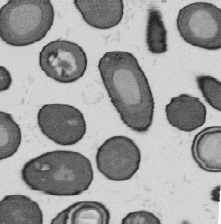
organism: B. subtilis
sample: Bacterial spore